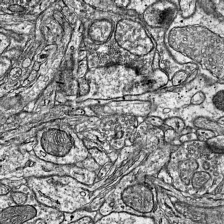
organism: Mouse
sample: Visual Cortex